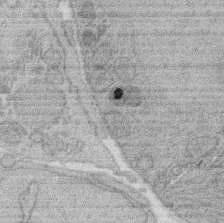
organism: Rat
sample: Salivary granule